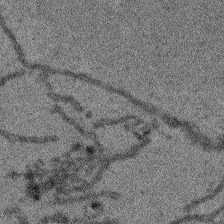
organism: Arabidopsis thaliana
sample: Root tip